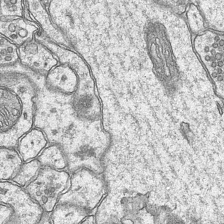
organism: Mouse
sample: CA1 Hippocampus